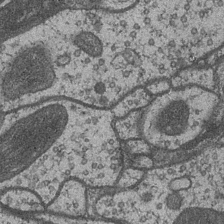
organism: Drosophila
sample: Optic medulla